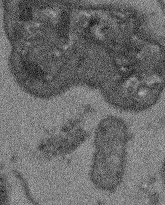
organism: Arabidopsis thaliana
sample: Root tip